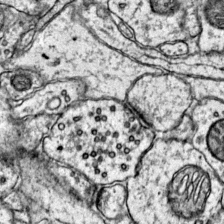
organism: Mouse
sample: Primary visual cortex